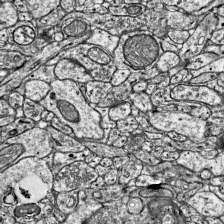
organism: Mouse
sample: Visual Cortex